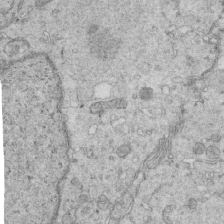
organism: Mouse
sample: Multiciliated cells